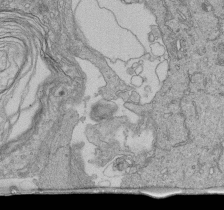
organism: Human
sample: Retinal organoid Rod and Cone cells